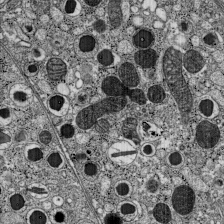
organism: C57BL Mouse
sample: Pancreatic islet